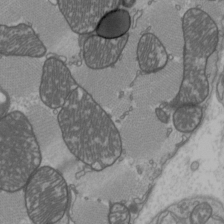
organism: C57BL Mouse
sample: Heart